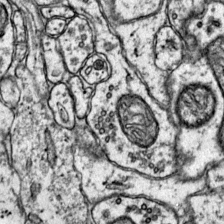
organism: Mouse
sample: Primary visual cortex